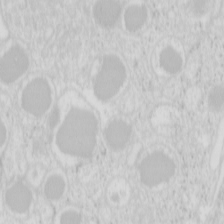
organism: Mouse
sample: Pancreas